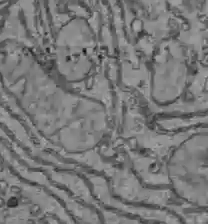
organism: C57BL Mouse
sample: Liver